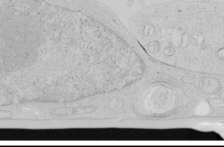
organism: Human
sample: Mitochondria in HCT116 cells